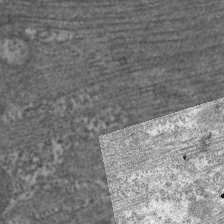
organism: C. elegans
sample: Pharynx